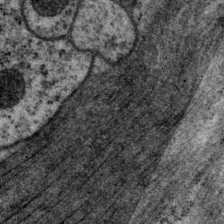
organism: P. pacificus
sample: Pharynx